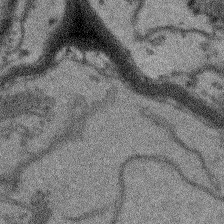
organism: Arabidopsis thaliana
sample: Root tip